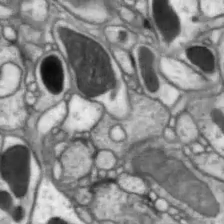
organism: Drosophila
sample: Optic lobe